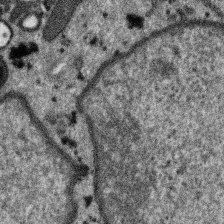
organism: Human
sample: Lung epithelial cells infected with SARS-CoV-2